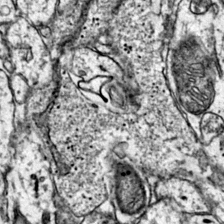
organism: Mouse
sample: Primary visual cortex